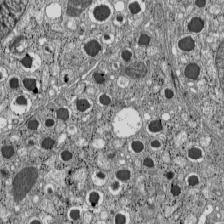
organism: C57BL Mouse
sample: Pancreatic islet